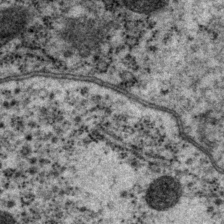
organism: P. pacificus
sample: Pharynx